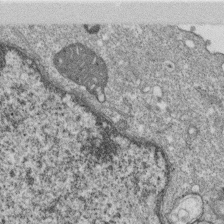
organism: African green monkey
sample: Vero E6 cells infected with SARS-CoV-2